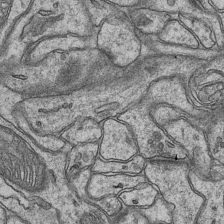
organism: Mouse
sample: CA1 Hippocampus